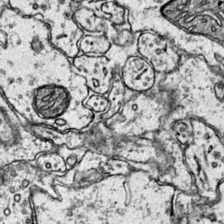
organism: Mouse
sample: Primary visual cortex